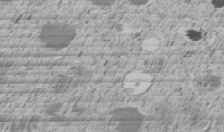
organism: C. elegans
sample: C. elegans embryo early stage